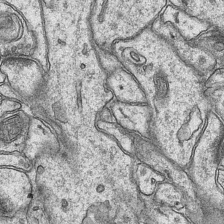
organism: Mouse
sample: CA1 Hippocampus